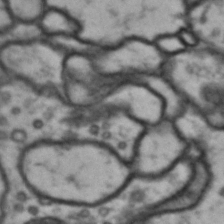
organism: Drosophila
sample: Brain